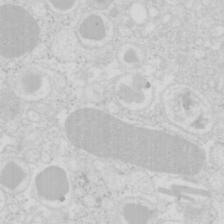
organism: Mouse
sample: Pancreas